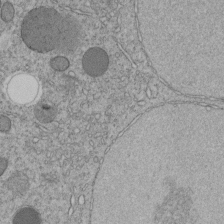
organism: C. elegans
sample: C. elegans embryo early stage